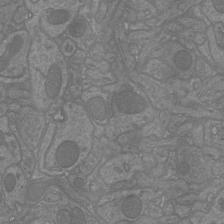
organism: Mouse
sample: Cortical neurons